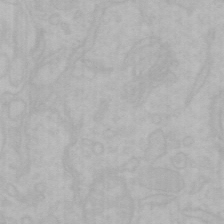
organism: Mouse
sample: Choroid plexus